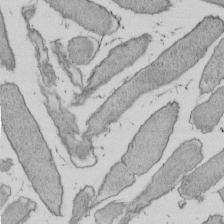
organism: E. coli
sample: Bacterial nucleoid